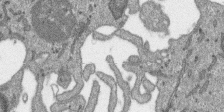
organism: Human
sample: Lung epithelial cells infected with SARS-CoV-2